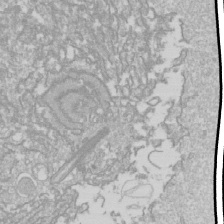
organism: Drosophila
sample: Cell division; meiosis; drosophila spermatocytes